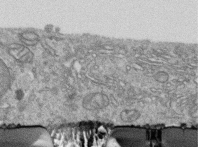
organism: Human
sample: Centriole in RPE cells